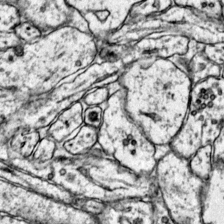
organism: Mouse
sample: Primary visual cortex